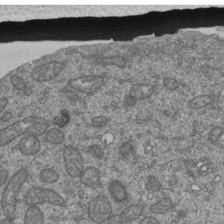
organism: Human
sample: Retinal organoid Rod and Cone cells